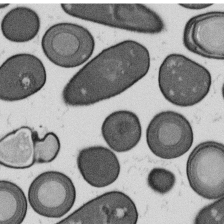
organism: B. subtilis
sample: Bacterial spore